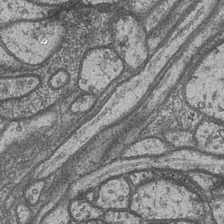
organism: Drosophila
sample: Optic medulla